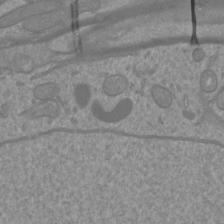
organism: Mouse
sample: Cortical neurons